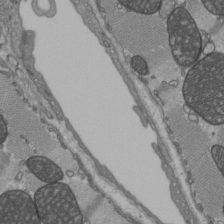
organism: C57BL Mouse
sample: Heart